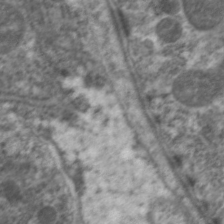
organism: C. elegans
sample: Pharynx